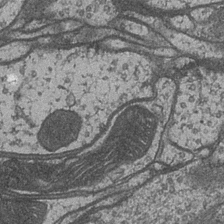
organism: Drosophila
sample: Optic medulla